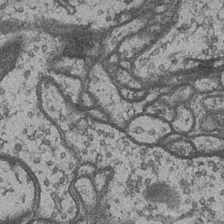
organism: Drosophila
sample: Optic medulla